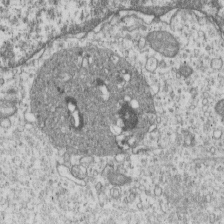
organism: Human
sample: MDA-MB-231 cells